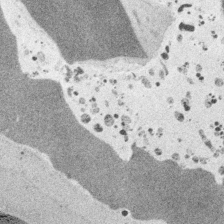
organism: Embia sp.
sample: Silk gland